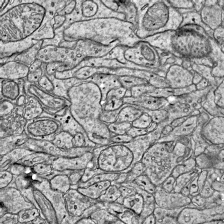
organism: Mouse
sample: Visual Cortex